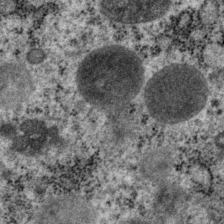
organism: P. pacificus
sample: Pharynx